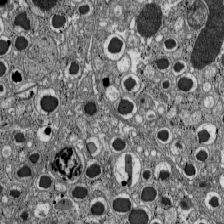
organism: C57BL Mouse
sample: Pancreatic islet